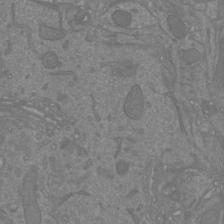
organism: Mouse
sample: Cortical neurons